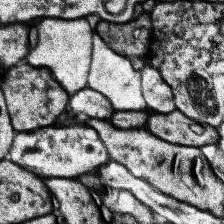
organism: Human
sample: Temporal Lobe